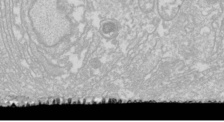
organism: Drosophila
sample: Cell division; meiosis; drosophila spermatocytes